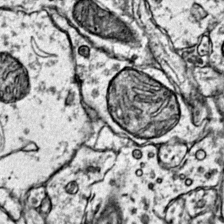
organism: Mouse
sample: Primary visual cortex